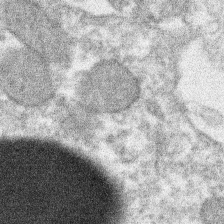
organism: Xenopus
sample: Cilia; centrioles in frog embryo cells